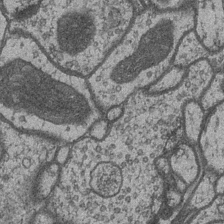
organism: Drosophila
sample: Optic medulla